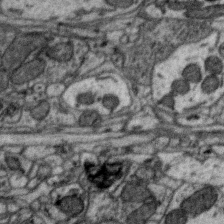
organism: Zebra finch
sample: Brain